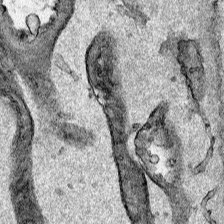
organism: Human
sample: Mitochondria in HCT116 cells